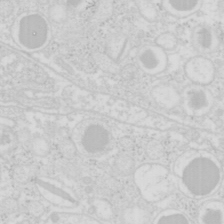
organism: Mouse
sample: Pancreas